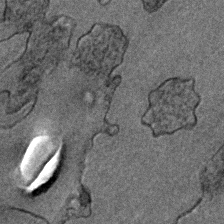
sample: Trachea